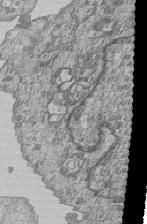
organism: Human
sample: MDA-MB-231 cells